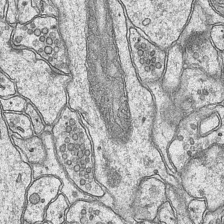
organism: Mouse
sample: CA1 Hippocampus